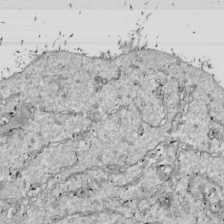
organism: Drosophila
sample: Cell division; meiosis; drosophila spermatocytes